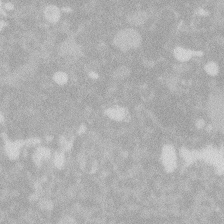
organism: Zebrafish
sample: Macrophage